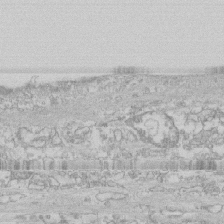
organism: Human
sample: CRL-1474